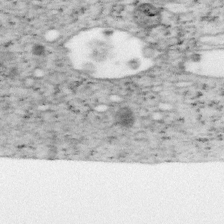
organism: Mouse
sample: OT-I killer T cells with ID8 ovarian cancer cells